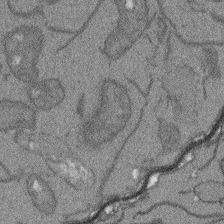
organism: Arabidopsis thaliana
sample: Root tip